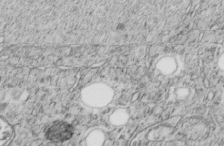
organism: C. elegans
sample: C. elegans embryo early stage